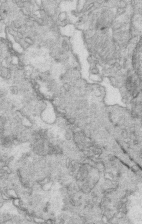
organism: Mouse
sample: Multiciliated cells